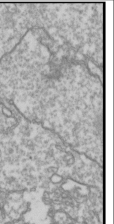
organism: Drosophila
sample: Cell division; meiosis; drosophila spermatocytes